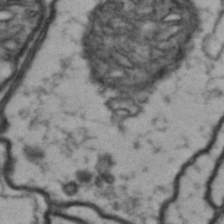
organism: Drosophila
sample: Brain